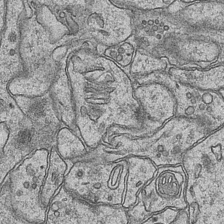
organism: Mouse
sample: CA1 Hippocampus